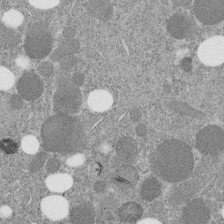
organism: C. elegans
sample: C. elegans embryo early stage